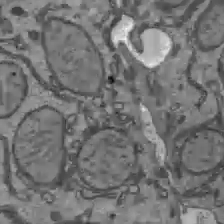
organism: C57BL Mouse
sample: Liver